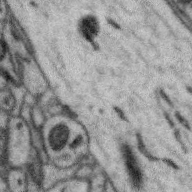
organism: Zebra finch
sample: Brain